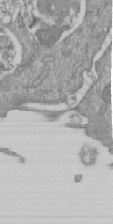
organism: Mouse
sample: ED-1 cell nuclei; centrioles